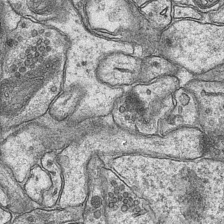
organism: Mouse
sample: CA1 Hippocampus